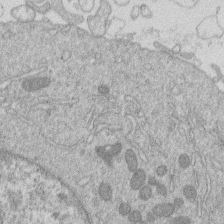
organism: Human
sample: Macrophage cells